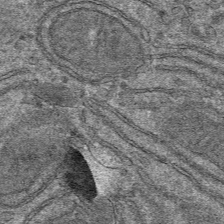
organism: Mouse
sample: Mouse hepatocytes